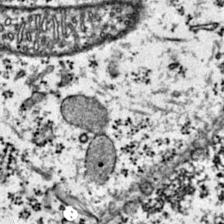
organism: Mouse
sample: Primary visual cortex